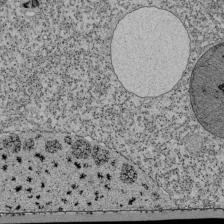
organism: Tetrahymena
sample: Cilia in tetrahymena